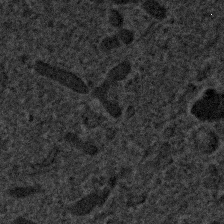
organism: Human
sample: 1205lu cells